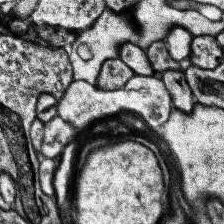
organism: Human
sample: Temporal Lobe